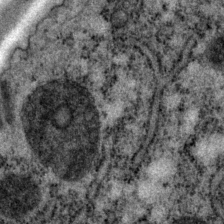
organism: P. pacificus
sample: Pharynx